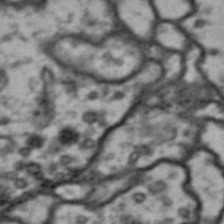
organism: Drosophila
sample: Brain